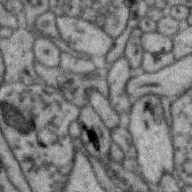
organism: Zebra finch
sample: Brain